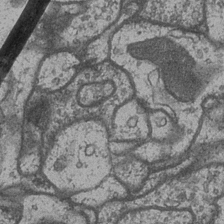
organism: Drosophila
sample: Optic medulla